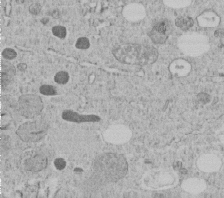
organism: C. elegans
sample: C. elegans embryo early stage